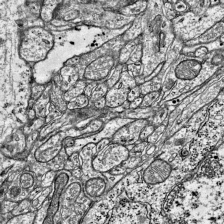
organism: Mouse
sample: Visual Cortex